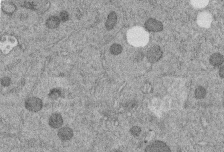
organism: C. elegans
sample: C. elegans embryo early stage